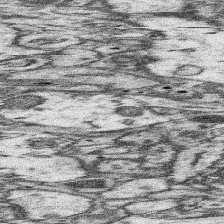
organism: Mouse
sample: Somatosensory cortex neuropil